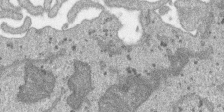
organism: Human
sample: Lung epithelial cells infected with SARS-CoV-2